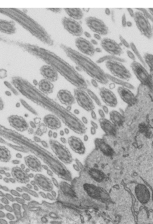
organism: Mouse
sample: Mouse epididymis efferent ductule cilia